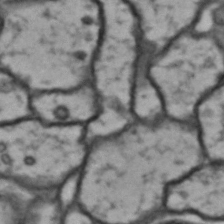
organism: Drosophila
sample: Brain